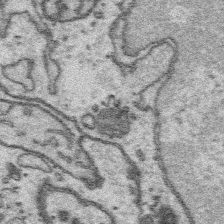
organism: Platynereis dumerilii